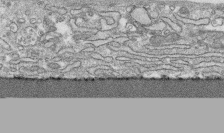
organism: Human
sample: CRL-1474